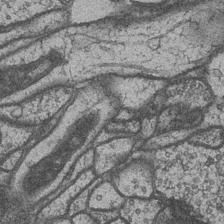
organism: Drosophila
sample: Optic medulla